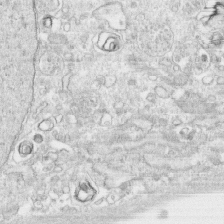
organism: Human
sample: CRL-1474